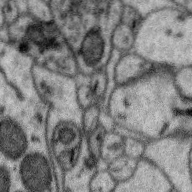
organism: Zebra finch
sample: Brain